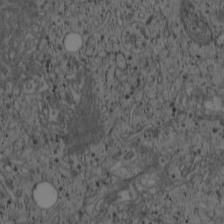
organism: African green monkey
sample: COS-7 cells